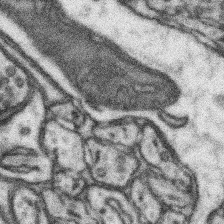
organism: Mouse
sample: Somatosensory cortex neuropil